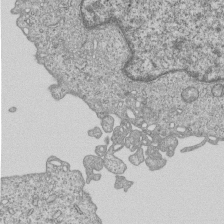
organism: Human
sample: MDA-MB-231 cells